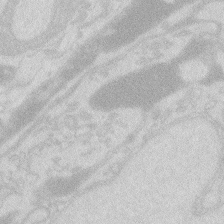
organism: Zebrafish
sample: Macrophage